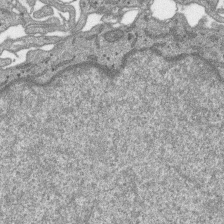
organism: Human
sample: Lung epithelial cells infected with SARS-CoV-2